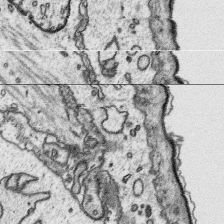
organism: Platynereis dumerilii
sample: Parapodia